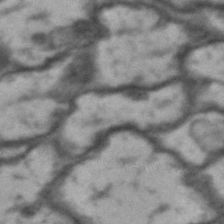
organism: Drosophila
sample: Brain